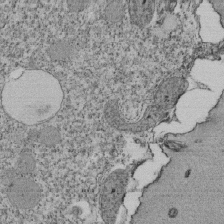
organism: Tetrahymena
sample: Cilia in tetrahymena